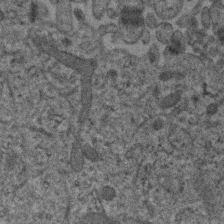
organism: Human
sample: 1205lu cells